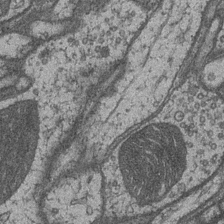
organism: Drosophila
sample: Optic medulla